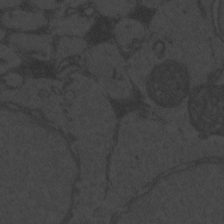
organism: Zebrafish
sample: Macrophage infected with Toxoplasma gondii